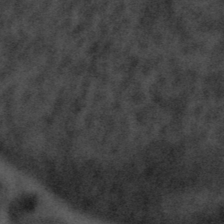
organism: Tuwongella immobilis